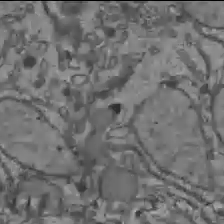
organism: C57BL Mouse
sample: Liver